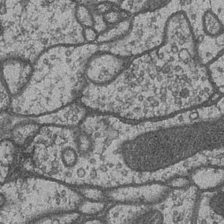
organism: Drosophila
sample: Optic medulla